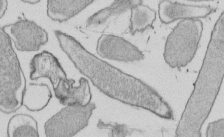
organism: E. coli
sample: Bacterial nucleoid